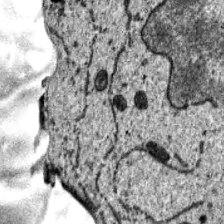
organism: Human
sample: HeLa cells